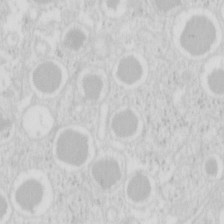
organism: Mouse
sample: Pancreas